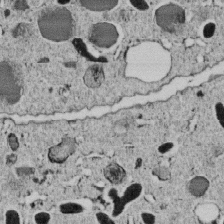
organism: C. elegans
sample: C. elegans embryo early stage